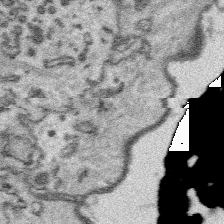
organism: Platynereis dumerilii